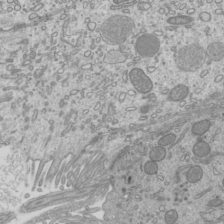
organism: Mouse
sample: Cilia; mouse epididymis